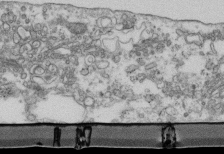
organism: Mouse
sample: Cilia; retinal pigment epithelium